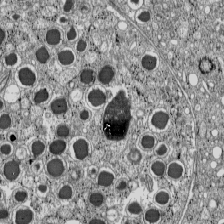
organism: C57BL Mouse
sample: Pancreatic islet